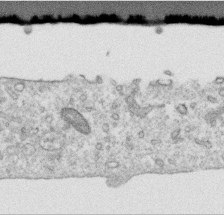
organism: Human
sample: Centriole in RPE cells